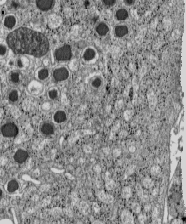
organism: C57BL Mouse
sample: Pancreatic islet